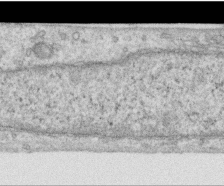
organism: Human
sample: Centriole in RPE cells